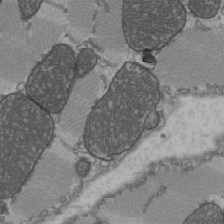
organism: C57BL Mouse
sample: Heart